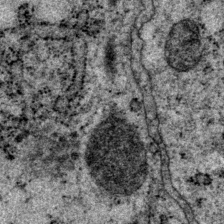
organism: P. pacificus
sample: Pharynx